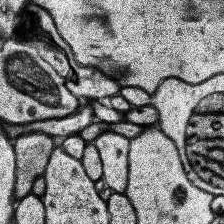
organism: Human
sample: Temporal Lobe